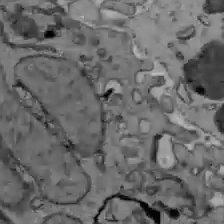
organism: C57BL Mouse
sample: Liver